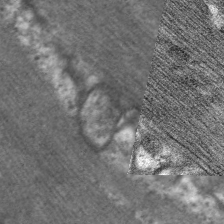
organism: C. elegans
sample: Pharynx